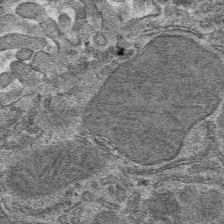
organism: Mouse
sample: Mouse hepatocytes